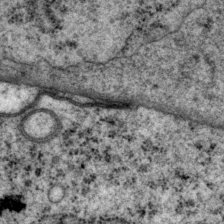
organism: P. pacificus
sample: Pharynx